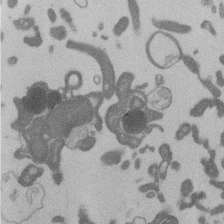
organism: Mouse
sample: Dividing mouse embryo 1 cell stage